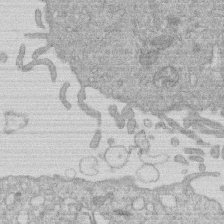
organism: Human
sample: Macrophage cells